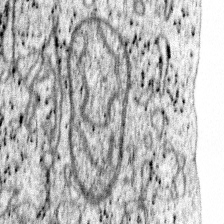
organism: Human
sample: HeLa cells